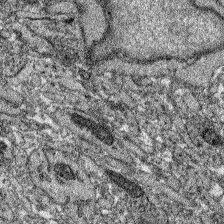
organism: Zebrafish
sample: Larval olfactory bulb